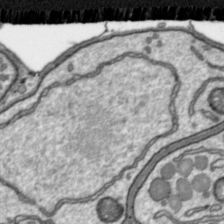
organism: Toxoplasma gondii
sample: Parasites in a vacuole inside a host cell